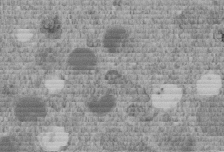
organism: C. elegans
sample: C. elegans embryo early stage